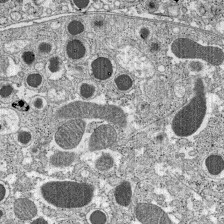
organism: C57BL Mouse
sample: Pancreatic islet